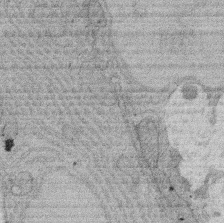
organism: Rat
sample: Salivary granule